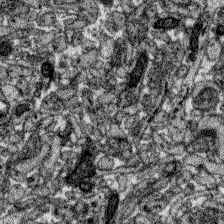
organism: Zebrafish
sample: Larval olfactory bulb